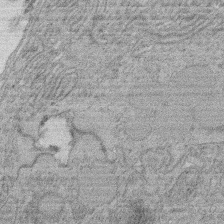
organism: Rat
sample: Salivary granule